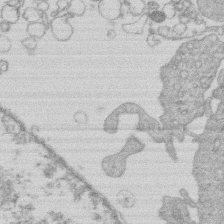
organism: Human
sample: Macrophage cells